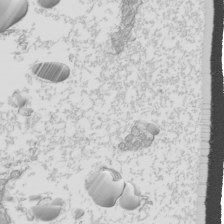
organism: Mouse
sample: Cilia; mouse epididymis